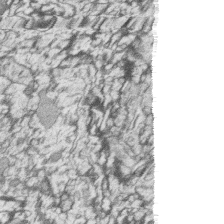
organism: Zebrafish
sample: synaptic ribbons in rod cells and cone cells